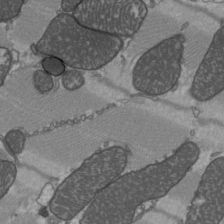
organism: C57BL Mouse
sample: Heart